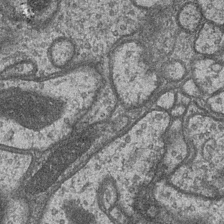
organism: Drosophila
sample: Optic medulla